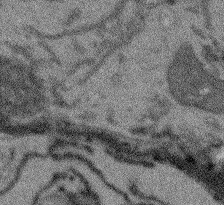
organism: Arabidopsis thaliana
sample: Root tip